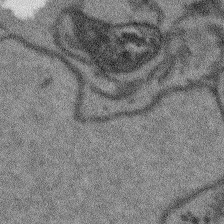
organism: Arabidopsis thaliana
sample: Root tip